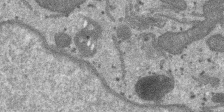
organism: Human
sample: Lung epithelial cells infected with SARS-CoV-2